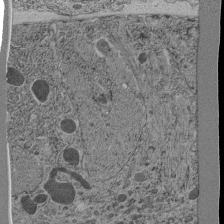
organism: C. elegans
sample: C. elegans pharynx